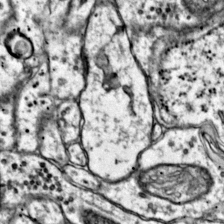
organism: Mouse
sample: Primary visual cortex